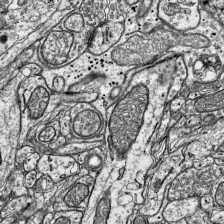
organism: Mouse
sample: Visual Cortex